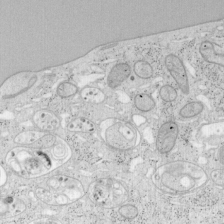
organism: Mouse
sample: OT-I killer T cells with ID8 ovarian cancer cells